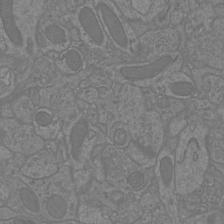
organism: Mouse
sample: Cortical neurons